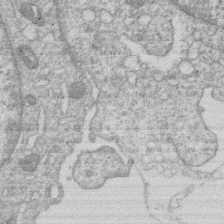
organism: Human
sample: Macrophage cells